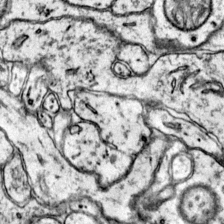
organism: Mouse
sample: Primary visual cortex